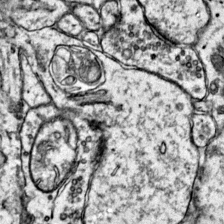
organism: Mouse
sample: Primary visual cortex